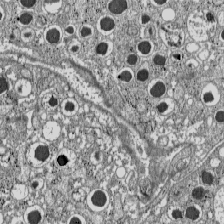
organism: C57BL Mouse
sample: Pancreatic islet